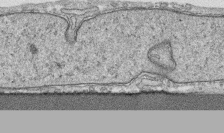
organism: Human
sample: CRL-1474